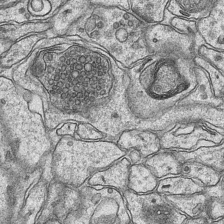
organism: Mouse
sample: CA1 Hippocampus